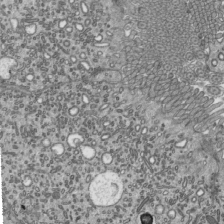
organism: Mouse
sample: Mouse epididymis efferent ductule cilia